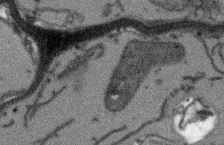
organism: Arabidopsis thaliana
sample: Root tip